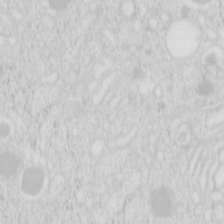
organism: Mouse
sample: Pancreas